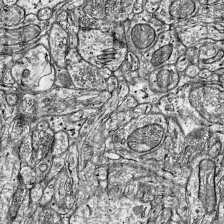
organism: Mouse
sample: Visual Cortex